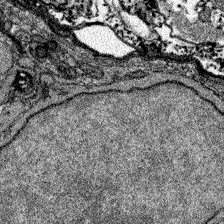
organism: Zebrafish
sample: Larval olfactory bulb